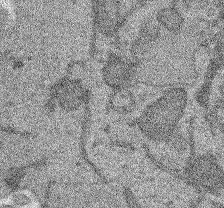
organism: Human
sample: HeLa cells